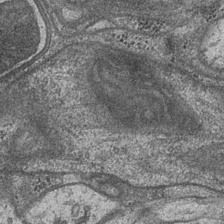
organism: Drosophila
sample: Optic medulla